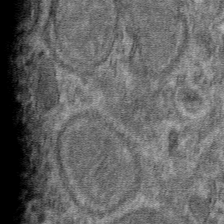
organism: Mouse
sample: Mouse hepatocytes